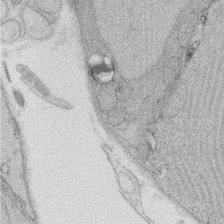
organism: Rat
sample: Salivary granule